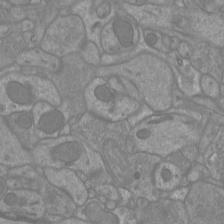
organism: Mouse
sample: Cortical neurons